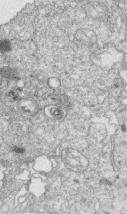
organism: Human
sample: HeLa cell HIV synapse